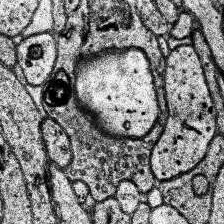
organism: Human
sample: Temporal Lobe